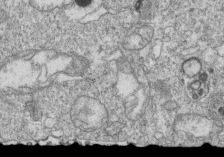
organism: Human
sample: HeLa cell HIV synapse